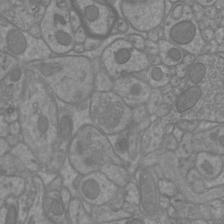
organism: Mouse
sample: Cortical neurons